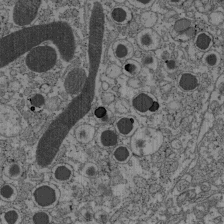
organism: C57BL Mouse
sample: Pancreatic islet